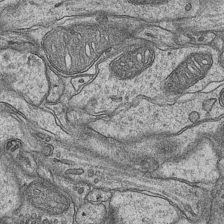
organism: Mouse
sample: CA1 Hippocampus